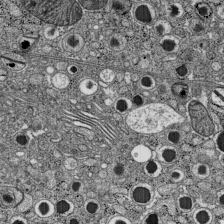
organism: C57BL Mouse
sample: Pancreatic islet